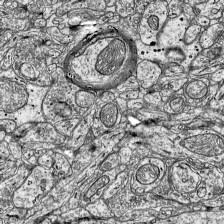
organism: Mouse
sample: Visual Cortex